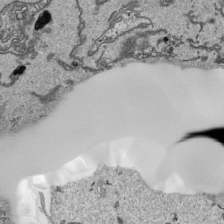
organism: Human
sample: Mitochondria in HCT116 cells